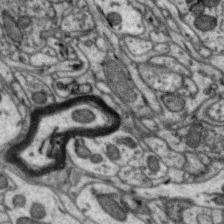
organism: Zebra finch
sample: Brain